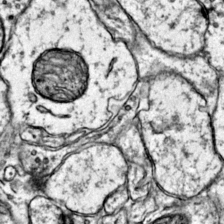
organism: Mouse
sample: Primary visual cortex